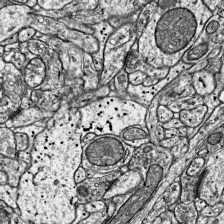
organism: Mouse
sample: Visual Cortex